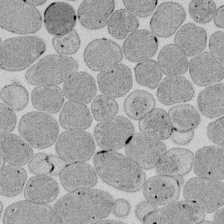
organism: E. coli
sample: Bacterial nucleoid